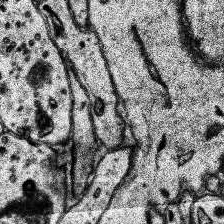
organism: Human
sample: Temporal Lobe